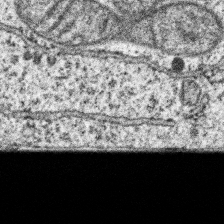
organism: Human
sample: HeLa cells